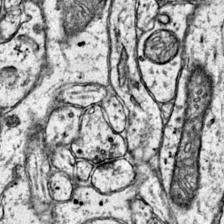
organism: Mouse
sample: Primary visual cortex